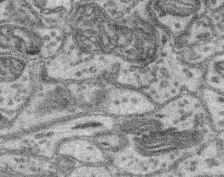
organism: Mouse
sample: Retina